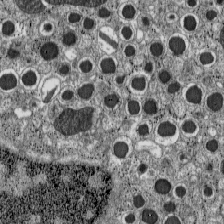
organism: C57BL Mouse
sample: Pancreatic islet